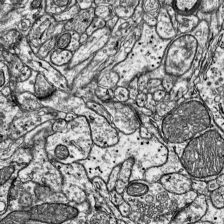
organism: Mouse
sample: Visual Cortex